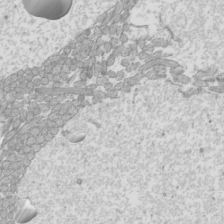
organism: Mouse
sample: Cilia; mouse epididymis